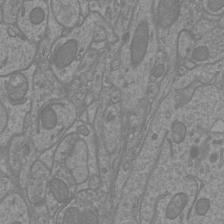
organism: Mouse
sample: Cortical neurons